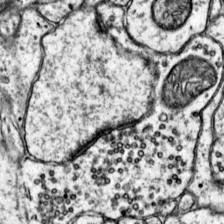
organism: Mouse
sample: Primary visual cortex